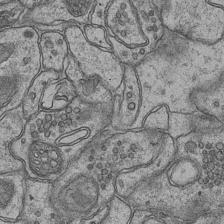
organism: Mouse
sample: CA1 Hippocampus